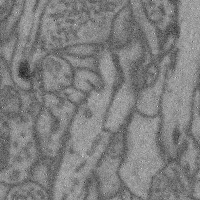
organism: Mouse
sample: Cerebral cortex